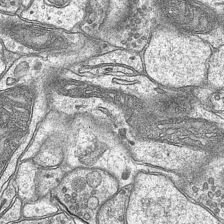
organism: Mouse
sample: CA1 Hippocampus